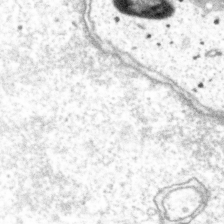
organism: Human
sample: HeLa cells